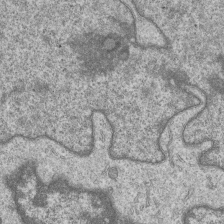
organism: Human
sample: MDA-MB-231 cells